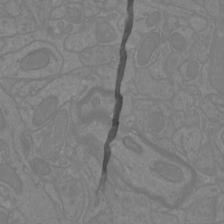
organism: Mouse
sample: Cortical neurons